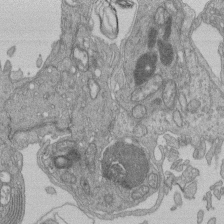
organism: Human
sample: Retinal organoid Rod and Cone cells